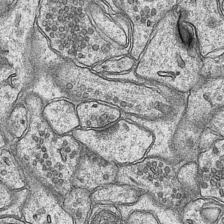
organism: Mouse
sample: CA1 Hippocampus